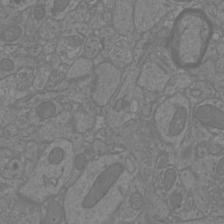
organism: Mouse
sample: Cortical neurons